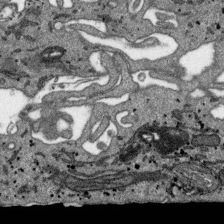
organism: Human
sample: Lung epithelial cells, uninfected (mock) control